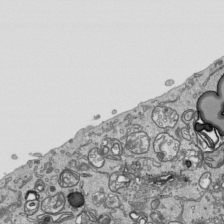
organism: Human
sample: Mitochondria in HCT116 cells